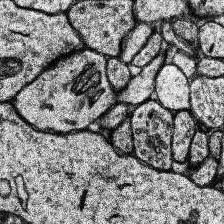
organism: Human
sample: Temporal Lobe